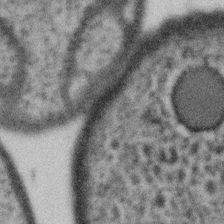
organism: Gemmata obscuriglobus